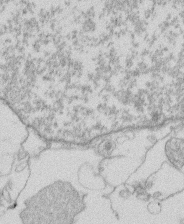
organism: Human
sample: Macrophage cells